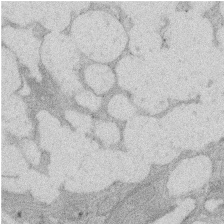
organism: Rat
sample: Salivary granule